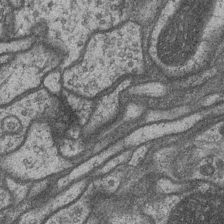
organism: Drosophila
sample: Optic medulla